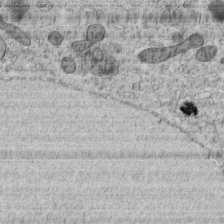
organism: C. elegans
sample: C. elegans embryo early stage